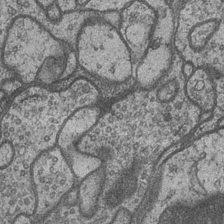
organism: Drosophila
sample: Optic medulla